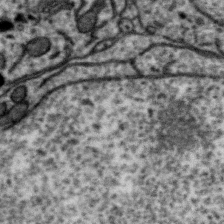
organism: Zebra finch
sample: Brain